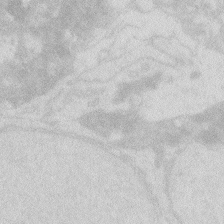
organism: Zebrafish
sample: Macrophage